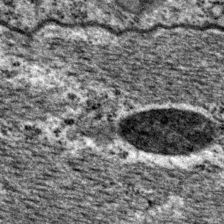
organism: P. pacificus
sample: Pharynx